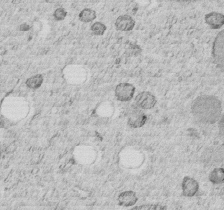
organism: C. elegans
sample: C. elegans embryo early stage